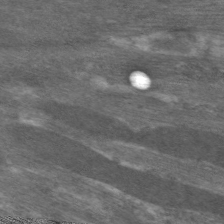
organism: C. elegans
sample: Pharynx